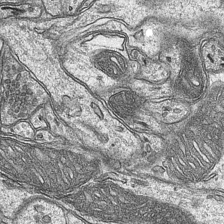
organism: Mouse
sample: CA1 Hippocampus